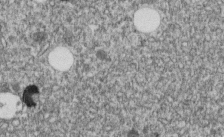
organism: C. elegans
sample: C. elegans embryo early stage